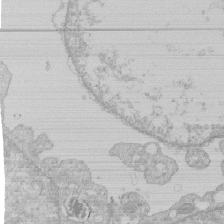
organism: Human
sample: Macrophage cells